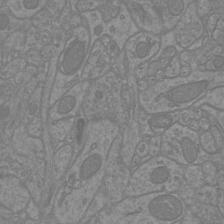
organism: Mouse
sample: Cortical neurons